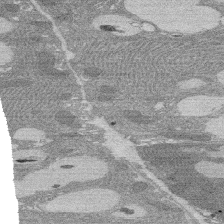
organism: Rat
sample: Salivary granule